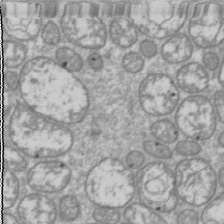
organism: Drosophila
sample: Cell division; meiosis; drosophila spermatocytes